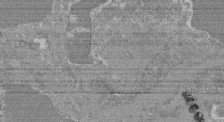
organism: Mouse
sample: Glomerulus